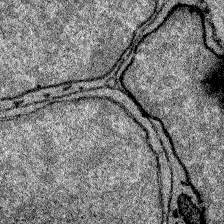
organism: Zebrafish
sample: Larval olfactory bulb